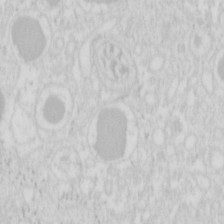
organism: Mouse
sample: Pancreas